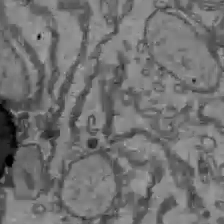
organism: C57BL Mouse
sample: Liver